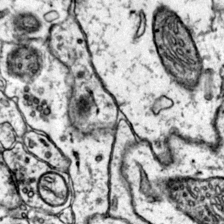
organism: Mouse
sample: Primary visual cortex